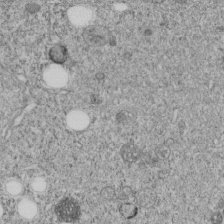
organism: C. elegans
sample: C. elegans embryo early stage